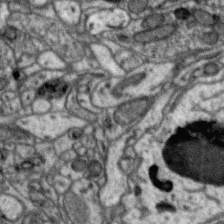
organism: Zebra finch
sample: Brain